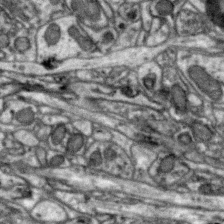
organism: Zebra finch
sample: Brain